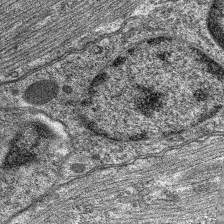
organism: C. elegans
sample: Pharynx